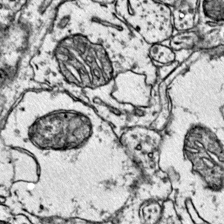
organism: Mouse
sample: Primary visual cortex